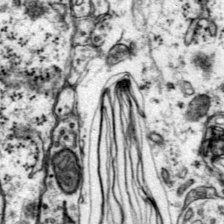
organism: Mouse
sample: Primary visual cortex